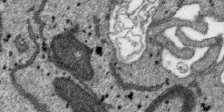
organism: Human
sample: Lung epithelial cells, uninfected (mock) control